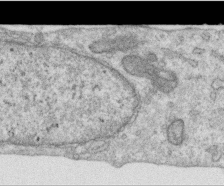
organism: Human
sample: Centriole in RPE cells